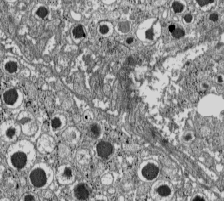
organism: C57BL Mouse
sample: Pancreatic islet